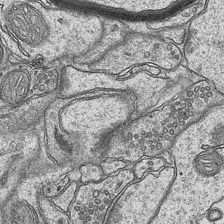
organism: Mouse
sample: CA1 Hippocampus